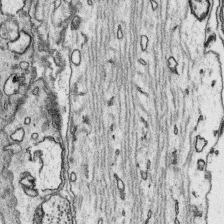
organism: Platynereis dumerilii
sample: Parapodia